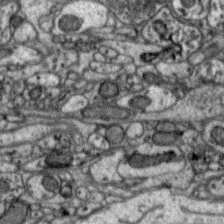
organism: Zebra finch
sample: Brain